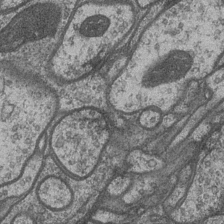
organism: Drosophila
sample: Optic medulla